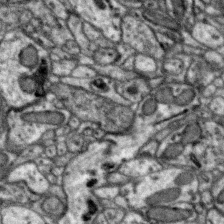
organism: Zebra finch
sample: Brain